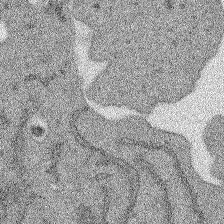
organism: Human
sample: HeLa cells